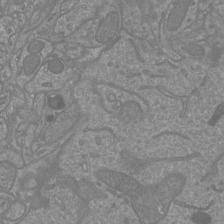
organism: Mouse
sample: Cortical neurons